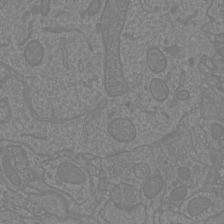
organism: Mouse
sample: Cortical neurons